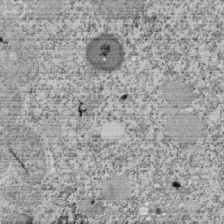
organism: Tetrahymena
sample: Cilia in tetrahymena